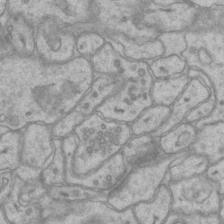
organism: Mouse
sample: CA1 Hippocampus